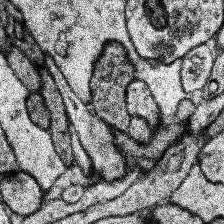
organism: Human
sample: Temporal Lobe